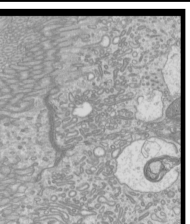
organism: Mouse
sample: Cilia; mouse epididymis